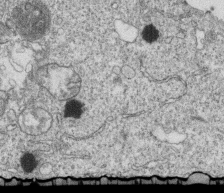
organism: Human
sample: HeLa cell HIV synapse